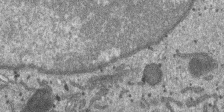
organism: Human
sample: Lung epithelial cells infected with SARS-CoV-2